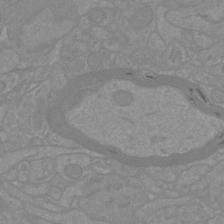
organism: Mouse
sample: Cortical neurons